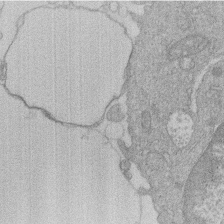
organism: Human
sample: Macrophage cells